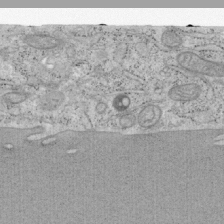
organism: Human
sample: HeLa cells